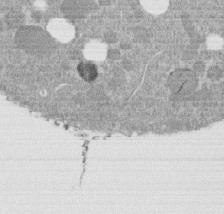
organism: C. elegans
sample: C. elegans embryo early stage